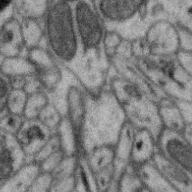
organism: Zebra finch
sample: Brain